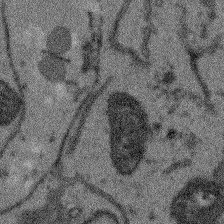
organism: Arabidopsis thaliana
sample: Root tip